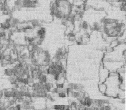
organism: Human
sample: HeLa cell HIV synapse